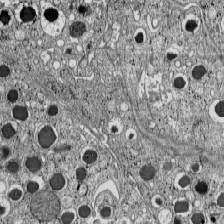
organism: C57BL Mouse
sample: Pancreatic islet